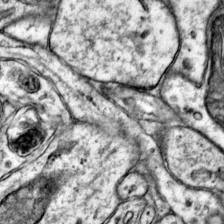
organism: Mouse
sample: Primary visual cortex